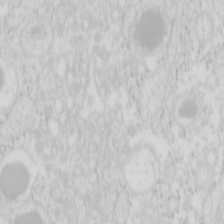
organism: Mouse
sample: Pancreas